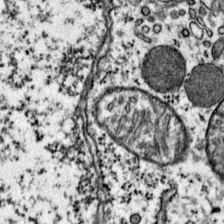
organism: Mouse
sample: Primary visual cortex